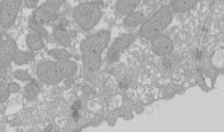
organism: Xenopus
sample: Cilia; centrioles in frog embryo cells